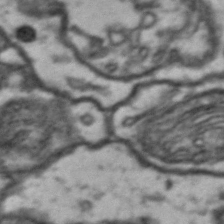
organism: Drosophila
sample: Brain